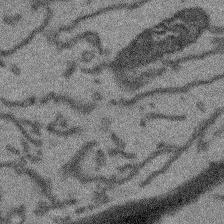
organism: Arabidopsis thaliana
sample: Root tip